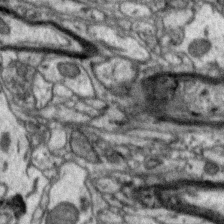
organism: Zebra finch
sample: Brain